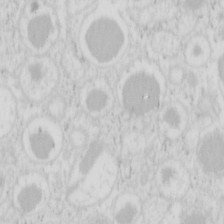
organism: Mouse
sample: Pancreas